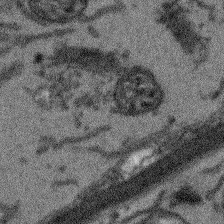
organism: Arabidopsis thaliana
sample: Root tip